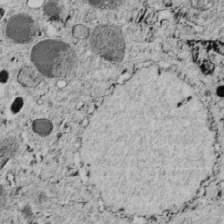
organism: C. elegans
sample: C. elegans embryo early stage